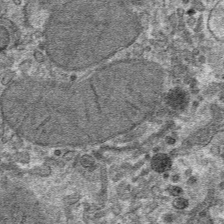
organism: Mouse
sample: Mouse hepatocytes